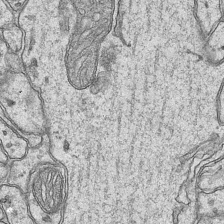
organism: Mouse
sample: CA1 Hippocampus